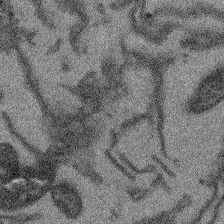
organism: Arabidopsis thaliana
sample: Root tip